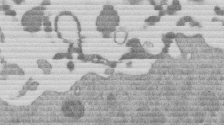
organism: Mouse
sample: Dividing mouse embryo 1 cell stage